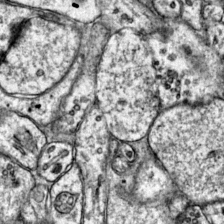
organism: Mouse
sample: Primary visual cortex